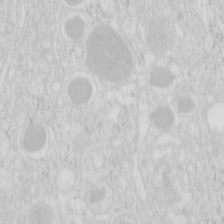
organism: Mouse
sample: Pancreas